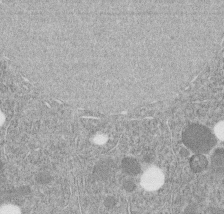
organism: C. elegans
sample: C. elegans embryo early stage